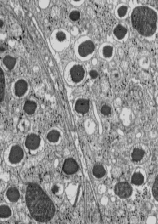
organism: C57BL Mouse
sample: Pancreatic islet